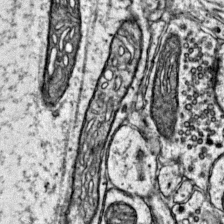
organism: Mouse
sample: Primary visual cortex